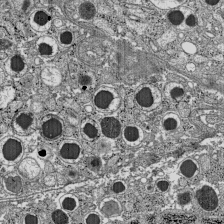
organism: C57BL Mouse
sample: Pancreatic islet